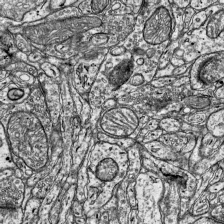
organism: Mouse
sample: Visual Cortex